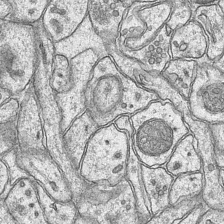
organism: Mouse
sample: CA1 Hippocampus